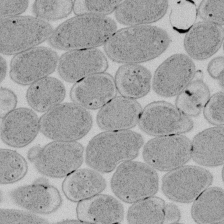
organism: E. coli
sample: Bacterial nucleoid